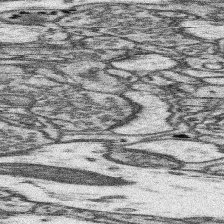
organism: Mouse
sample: Somatosensory cortex neuropil